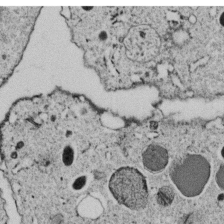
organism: C. elegans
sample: C. elegans embryo early stage